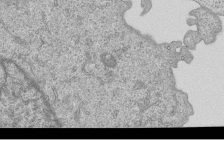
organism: Human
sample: MDA-MB-231 cells